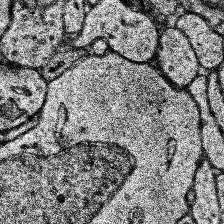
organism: Human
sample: Temporal Lobe